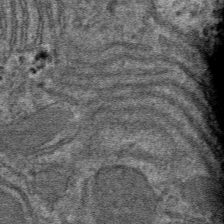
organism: Mouse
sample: Mouse hepatocytes